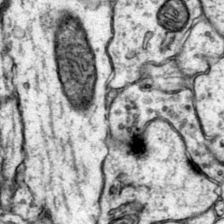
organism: Mouse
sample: Primary visual cortex